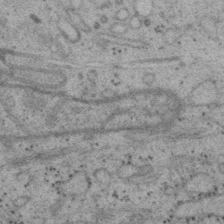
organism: Human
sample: HeLa cells